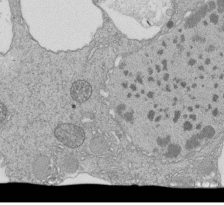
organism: Tetrahymena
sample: Cilia in tetrahymena